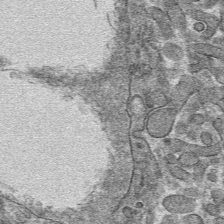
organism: Mouse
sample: Mouse hepatocytes